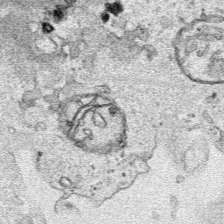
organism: Human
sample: Mitochondria in HCT116 cells